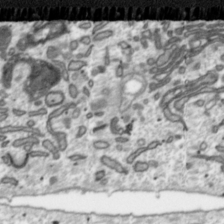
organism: Toxoplasma gondii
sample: Parasites in a vacuole inside a host cell